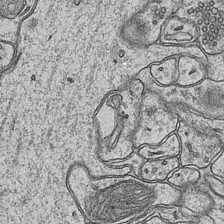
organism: Mouse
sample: CA1 Hippocampus